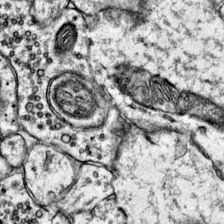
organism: Mouse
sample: Primary visual cortex